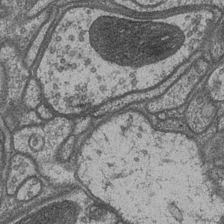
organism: Drosophila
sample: Optic medulla